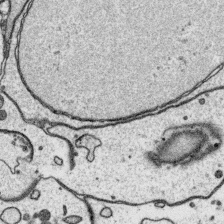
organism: Platynereis dumerilii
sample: Parapodia